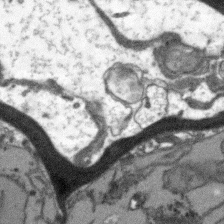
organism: Arabidopsis thaliana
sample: Root tip